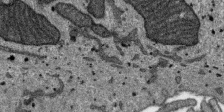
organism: Human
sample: Lung epithelial cells, uninfected (mock) control